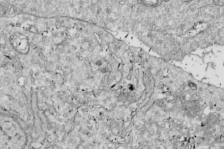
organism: Drosophila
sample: Cell division; meiosis; drosophila spermatocytes